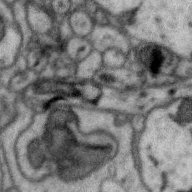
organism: Zebra finch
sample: Brain